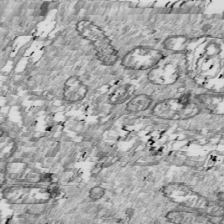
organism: Drosophila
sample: Cell division; meiosis; drosophila spermatocytes